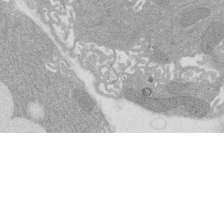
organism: Rat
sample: Salivary granule